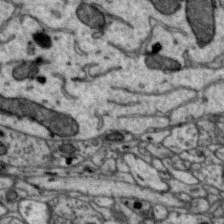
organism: Zebra finch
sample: Brain